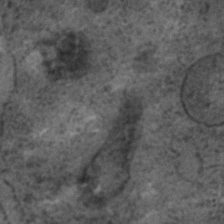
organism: C. elegans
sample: C. elegans embryo